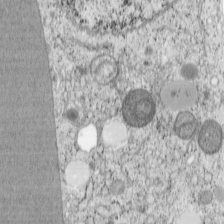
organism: African green monkey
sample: COS-7 cells